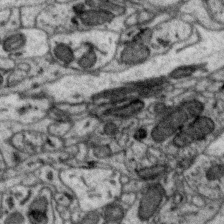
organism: Zebra finch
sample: Brain